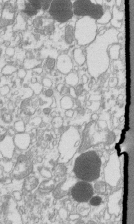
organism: Mouse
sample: Macrophages